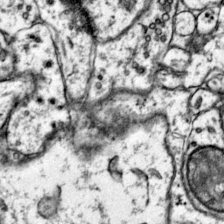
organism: Mouse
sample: Primary visual cortex